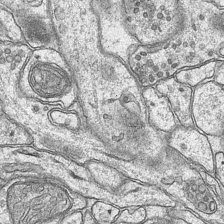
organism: Mouse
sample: CA1 Hippocampus